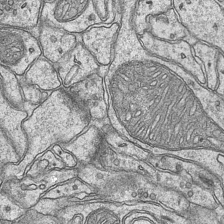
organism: Mouse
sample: CA1 Hippocampus